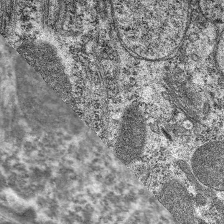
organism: C. elegans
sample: Pharynx